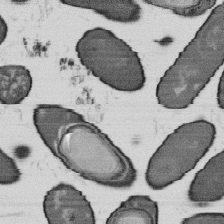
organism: B. subtilis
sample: Bacterial spore